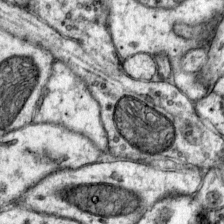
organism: Mouse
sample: Primary visual cortex